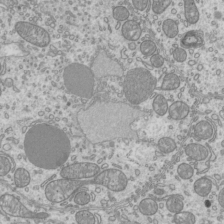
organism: Mouse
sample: Cilia; mouse epididymis